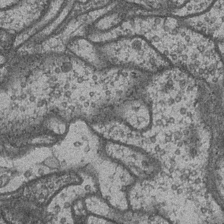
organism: Drosophila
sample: Optic medulla